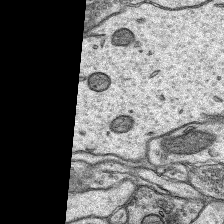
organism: Rat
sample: Hippocampus